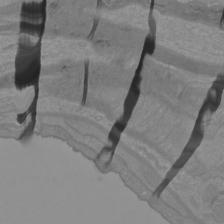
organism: Mouse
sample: Cortical neurons